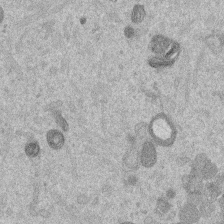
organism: Mouse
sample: Dividing mouse embryo 1 cell stage